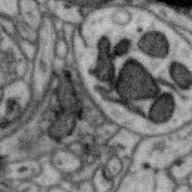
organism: Zebra finch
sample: Brain